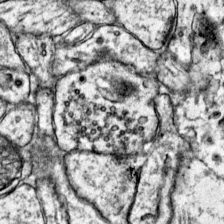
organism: Mouse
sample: Primary visual cortex